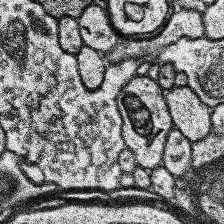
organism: Human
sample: Temporal Lobe